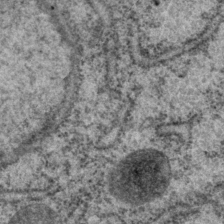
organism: P. pacificus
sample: Pharynx